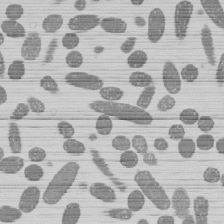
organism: E. coli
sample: Bacterial nucleoid